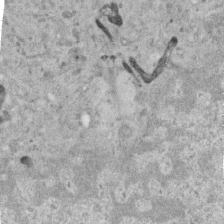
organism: Human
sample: Centriole in RPE cells